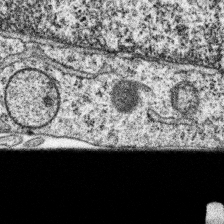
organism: Human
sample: HeLa cells